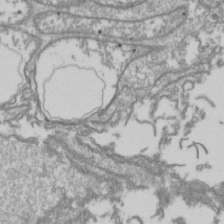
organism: Drosophila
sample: Cell division; meiosis; drosophila spermatocytes